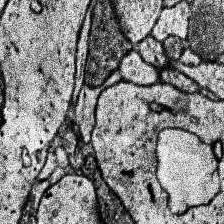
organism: Human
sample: Temporal Lobe